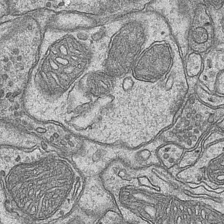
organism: Mouse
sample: CA1 Hippocampus